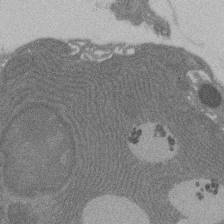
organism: Rat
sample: Salivary granule